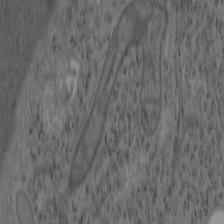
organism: Human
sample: HeLa cells